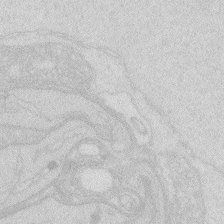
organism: Zebrafish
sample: Macrophage